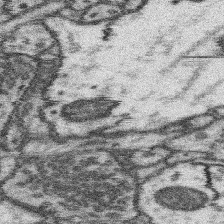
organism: Mouse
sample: Somatosensory cortex neuropil